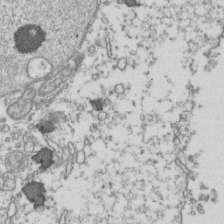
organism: Human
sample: Activated Jurkat CD4+ T cells